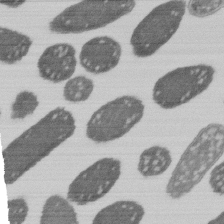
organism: E. coli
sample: Bacterial nucleoid